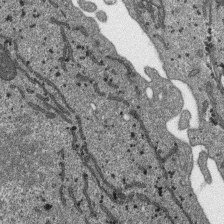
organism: Human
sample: Lung epithelial cells infected with SARS-CoV-2